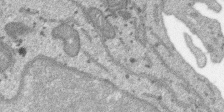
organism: Human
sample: Lung epithelial cells infected with SARS-CoV-2